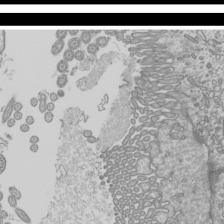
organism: Mouse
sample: Cilia; mouse epididymis